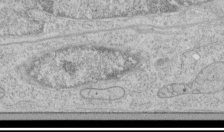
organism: Human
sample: Mitochondria in HCT116 cells